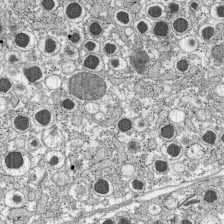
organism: C57BL Mouse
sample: Pancreatic islet